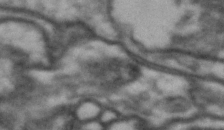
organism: Drosophila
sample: Brain